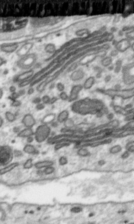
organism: Toxoplasma gondii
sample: Parasites in a vacuole inside a host cell